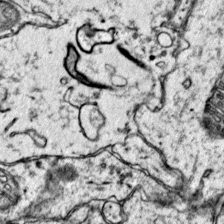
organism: Mouse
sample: Primary visual cortex